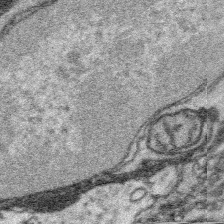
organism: Platynereis dumerilii